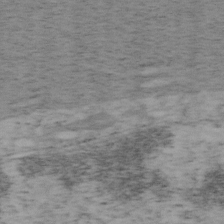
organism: Mouse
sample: OT-I killer T cells with ID8 ovarian cancer cells